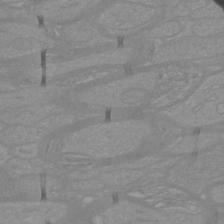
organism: Mouse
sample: Cortical neurons